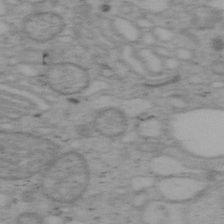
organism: Mouse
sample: OT-I killer T cells with ID8 ovarian cancer cells